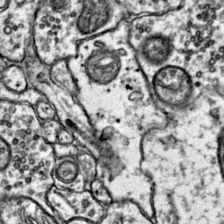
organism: Mouse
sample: Primary visual cortex